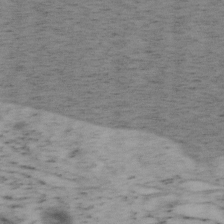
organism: Mouse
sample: OT-I killer T cells with ID8 ovarian cancer cells